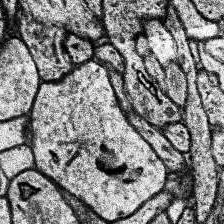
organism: Human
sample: Temporal Lobe